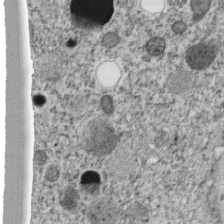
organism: C. elegans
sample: C. elegans embryo early stage